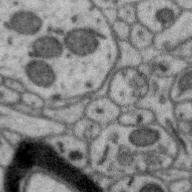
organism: Zebra finch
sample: Brain